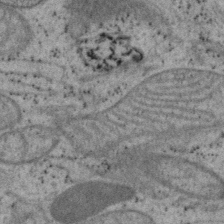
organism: Human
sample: HeLa cells